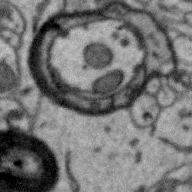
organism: Zebra finch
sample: Brain